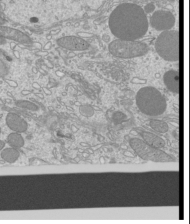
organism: Mouse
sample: Cilia; mouse epididymis